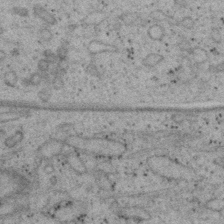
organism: Human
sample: HeLa cells